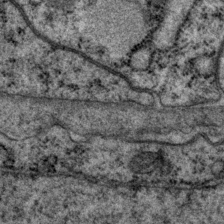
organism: P. pacificus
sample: Pharynx